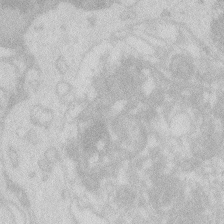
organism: Zebrafish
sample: Macrophage